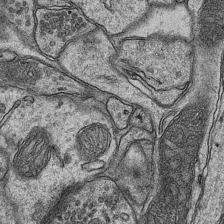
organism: Mouse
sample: CA1 Hippocampus